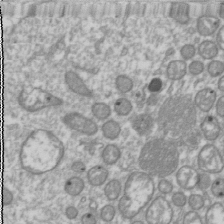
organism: Drosophila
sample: Cell division; meiosis; drosophila spermatocytes